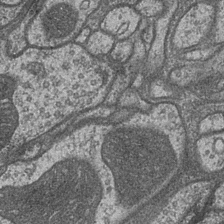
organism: Drosophila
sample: Optic medulla